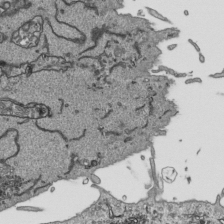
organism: Human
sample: Mitochondria in HCT116 cells